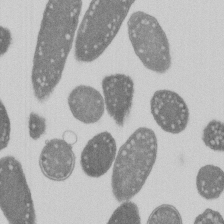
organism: E. coli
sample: Bacterial nucleoid